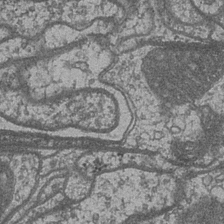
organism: Drosophila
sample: Optic medulla